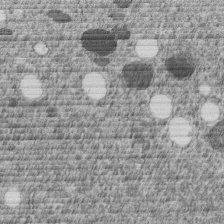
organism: C. elegans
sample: C. elegans embryo early stage